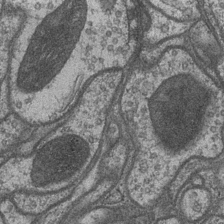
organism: Drosophila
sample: Optic medulla